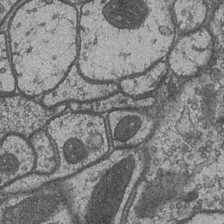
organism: Drosophila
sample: Optic medulla